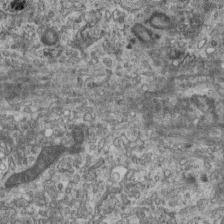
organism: Mouse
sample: Centriole in ependymal cells